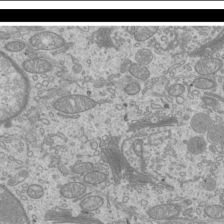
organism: Mouse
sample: Cilia; mouse epididymis